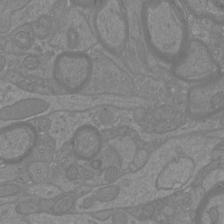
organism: Mouse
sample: Cortical neurons